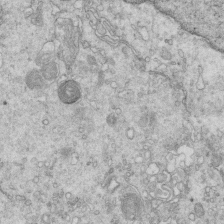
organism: Mouse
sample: Multiciliated cells